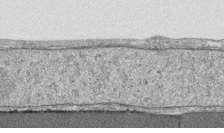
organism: Human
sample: CRL-1474